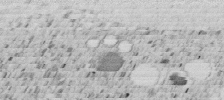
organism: C. elegans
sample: C. elegans embryo early stage